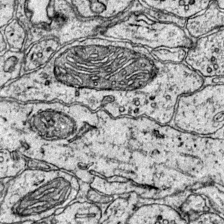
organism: Mouse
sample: Primary visual cortex